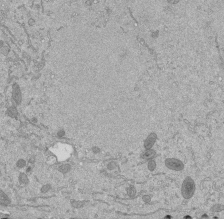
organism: Mouse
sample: ED-1 cell nuclei; centrioles